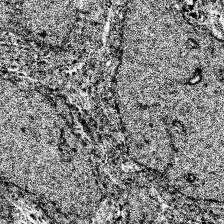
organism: Human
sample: Temporal Lobe